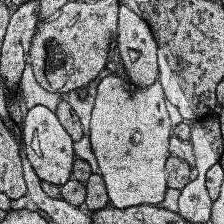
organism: Human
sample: Temporal Lobe